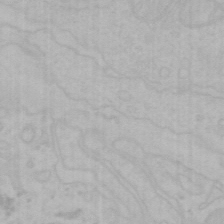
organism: Mouse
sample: Choroid plexus